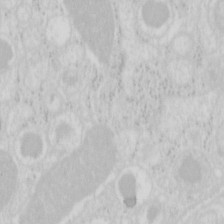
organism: Mouse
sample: Pancreas